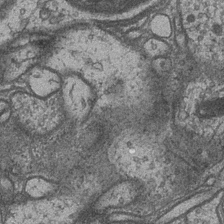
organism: Drosophila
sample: Optic medulla